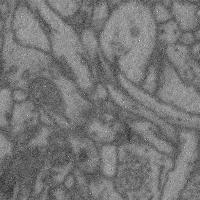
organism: Mouse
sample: Cerebral cortex